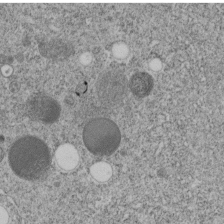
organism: C. elegans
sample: C. elegans embryo early stage